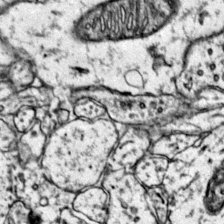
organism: Mouse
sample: Primary visual cortex